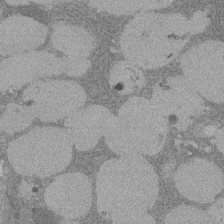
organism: Rat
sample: Salivary granule